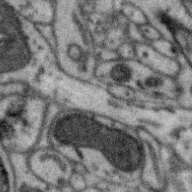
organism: Zebra finch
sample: Brain